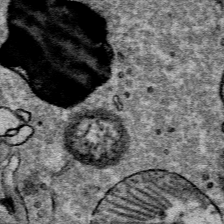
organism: Mouse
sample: Mouse Salivary gland